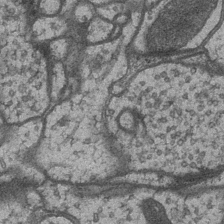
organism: Drosophila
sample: Optic medulla